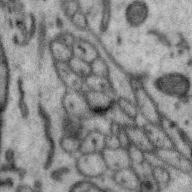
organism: Zebra finch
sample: Brain